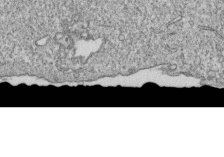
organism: Human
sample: HeLa cell HIV synapse